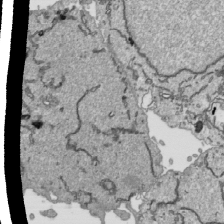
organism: Human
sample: Mitochondria in HCT116 cells